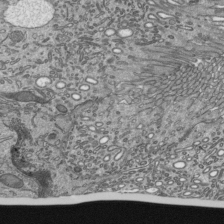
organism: Mouse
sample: Mouse epididymis efferent ductule cilia